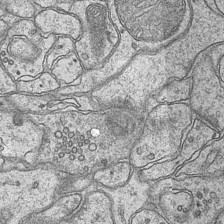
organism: Mouse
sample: CA1 Hippocampus